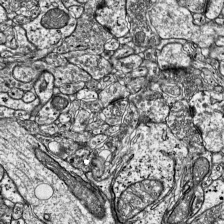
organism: Mouse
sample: Visual Cortex